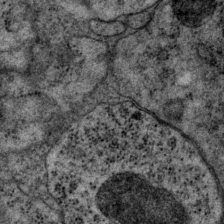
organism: P. pacificus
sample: Pharynx